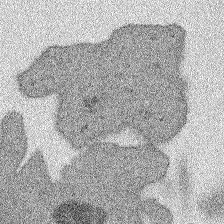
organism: Human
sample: HeLa cells